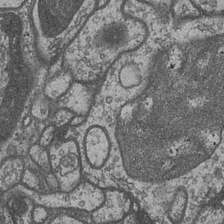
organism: Drosophila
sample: Optic medulla